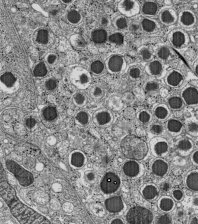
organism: C57BL Mouse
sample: Pancreatic islet